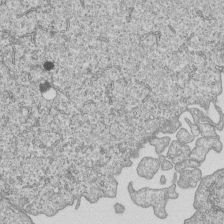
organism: Human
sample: MDA-MB-231 cells